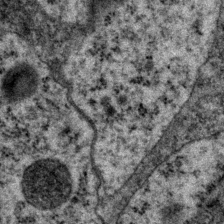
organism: P. pacificus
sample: Pharynx